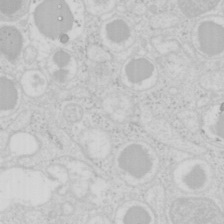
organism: Mouse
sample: Pancreas